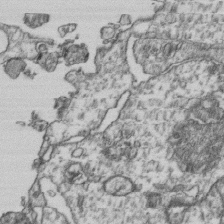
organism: Human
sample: Activated Jurkat CD4+ T cells